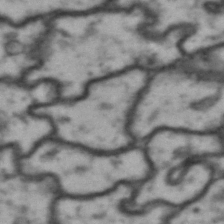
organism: Drosophila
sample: Brain